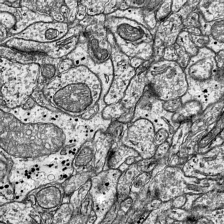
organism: Mouse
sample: Visual Cortex